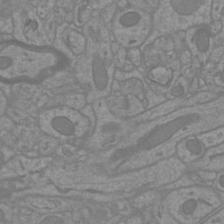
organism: Mouse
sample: Cortical neurons